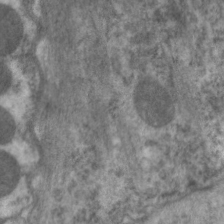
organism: C. elegans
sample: Pharynx